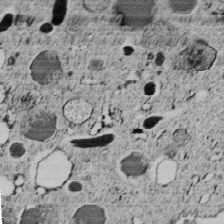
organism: C. elegans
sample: C. elegans embryo early stage